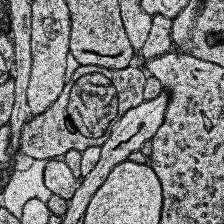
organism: Human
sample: Temporal Lobe